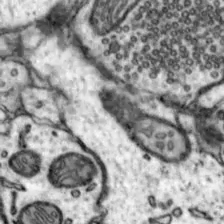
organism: Mouse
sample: Nucleus accumbens